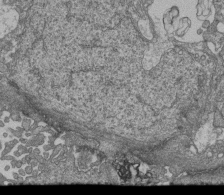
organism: Human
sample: Retinal organoid Rod and Cone cells